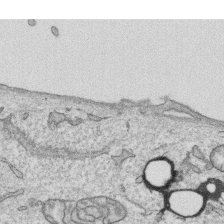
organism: Human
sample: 1205lu cells